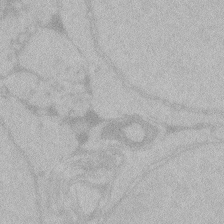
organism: Zebrafish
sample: Macrophage infected with Toxoplasma gondii